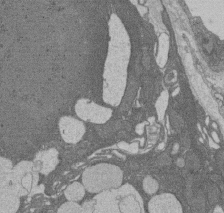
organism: Rat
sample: Salivary granule